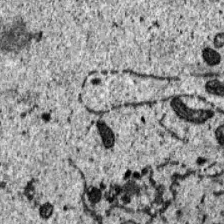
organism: Human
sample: HeLa cells